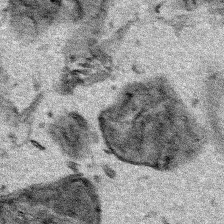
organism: Human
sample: Mitochondria in HCT116 cells